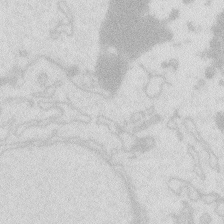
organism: Zebrafish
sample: Macrophage